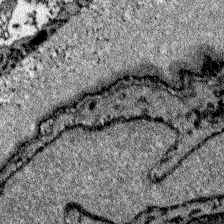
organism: Zebrafish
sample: Larval olfactory bulb